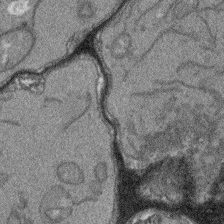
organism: Arabidopsis thaliana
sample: Root tip